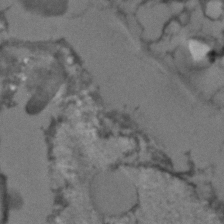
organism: C. elegans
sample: C. elegans embryo